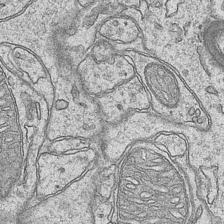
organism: Mouse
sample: CA1 Hippocampus